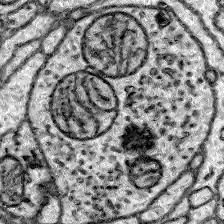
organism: Zebrafish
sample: Brain